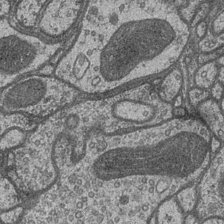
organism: Drosophila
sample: Optic medulla